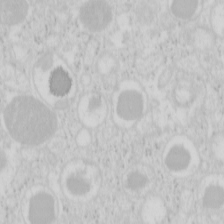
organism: Mouse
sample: Pancreas